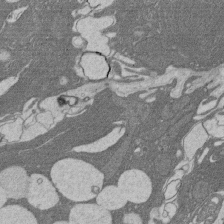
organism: Rat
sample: Salivary granule